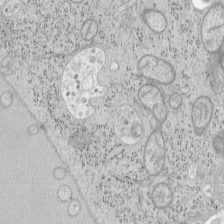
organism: Mouse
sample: OT-I killer T cells with ID8 ovarian cancer cells